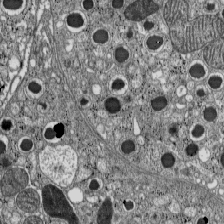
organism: C57BL Mouse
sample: Pancreatic islet